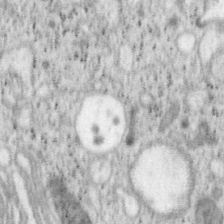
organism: Mouse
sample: OT-I killer T cells with ID8 ovarian cancer cells